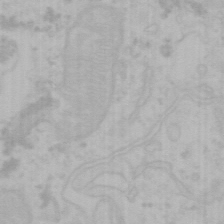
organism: Mouse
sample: Choroid plexus